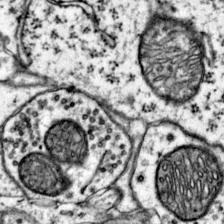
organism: Mouse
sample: Primary visual cortex